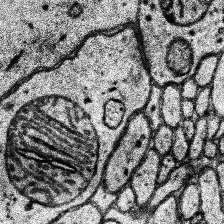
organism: Human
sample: Temporal Lobe